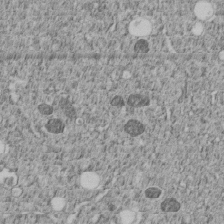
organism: C. elegans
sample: C. elegans embryo early stage